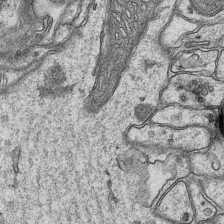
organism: Mouse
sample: CA1 Hippocampus